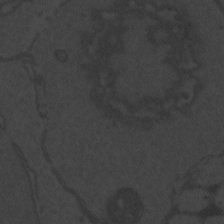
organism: Zebrafish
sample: Macrophage infected with Toxoplasma gondii